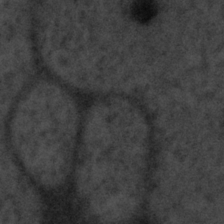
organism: Tuwongella immobilis